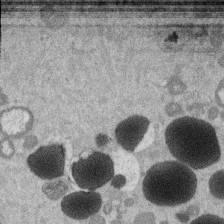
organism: Mouse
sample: Dividing mouse embryo 1 cell stage